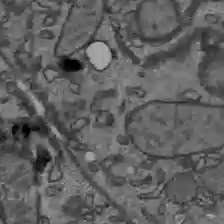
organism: C57BL Mouse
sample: Liver